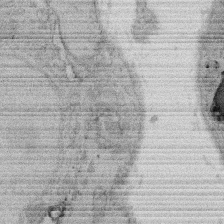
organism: Rat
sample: Salivary granule